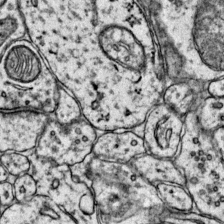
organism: Mouse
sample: Primary visual cortex